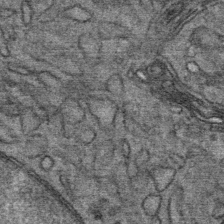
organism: Mouse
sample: Mouse Salivary gland